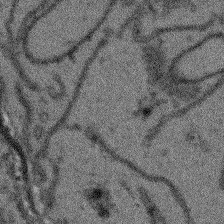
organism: Arabidopsis thaliana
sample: Root tip